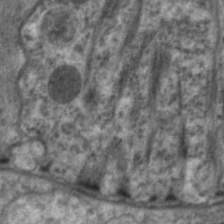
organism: C. elegans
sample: Pharynx